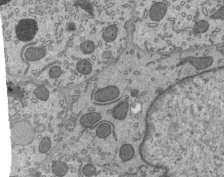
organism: Mouse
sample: Mouse epididymis efferent ductule cilia